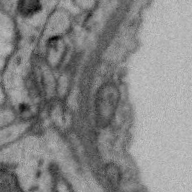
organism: Zebra finch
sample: Brain